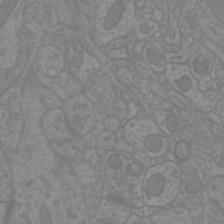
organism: Mouse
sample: Cortical neurons